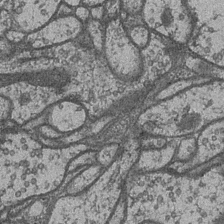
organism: Drosophila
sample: Optic medulla